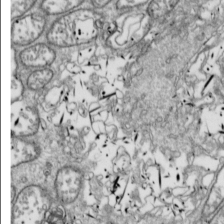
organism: Drosophila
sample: Cell division; meiosis; drosophila spermatocytes